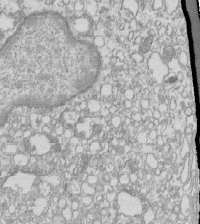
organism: Mouse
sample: Macrophages